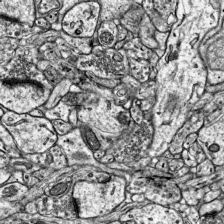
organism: Mouse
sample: Visual Cortex